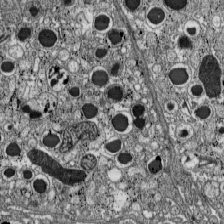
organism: C57BL Mouse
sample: Pancreatic islet